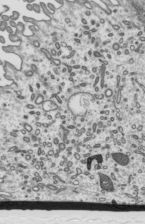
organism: Mouse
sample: Mouse epididymis efferent ductule cilia